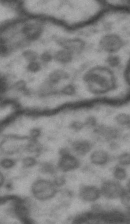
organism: Drosophila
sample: Brain